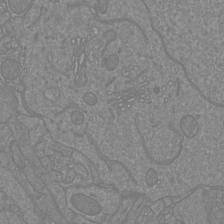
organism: Mouse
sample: Cortical neurons